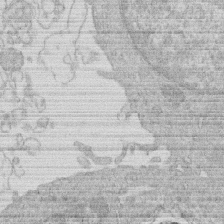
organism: Human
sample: Macrophage cells